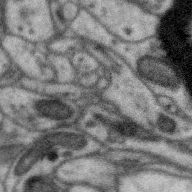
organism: Zebra finch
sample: Brain